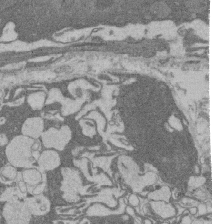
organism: Rat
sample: Salivary granule